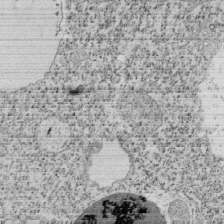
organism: Tetrahymena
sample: Cilia in tetrahymena